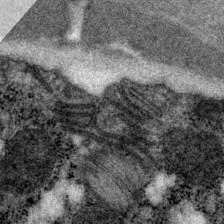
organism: P. pacificus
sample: Pharynx